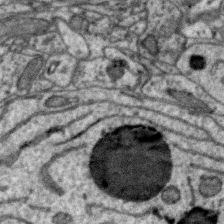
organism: Zebra finch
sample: Brain